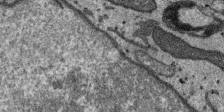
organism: Human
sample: Lung epithelial cells, uninfected (mock) control